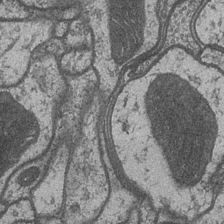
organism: Drosophila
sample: Optic medulla